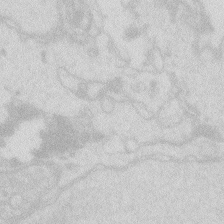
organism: Zebrafish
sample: Macrophage